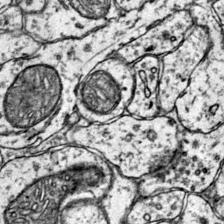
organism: Mouse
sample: Primary visual cortex